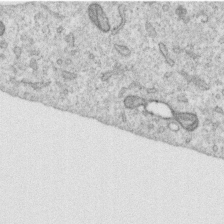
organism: Human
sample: Centriole in RPE cells